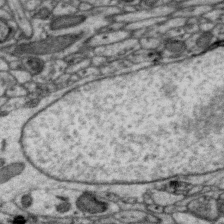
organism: Zebra finch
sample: Brain